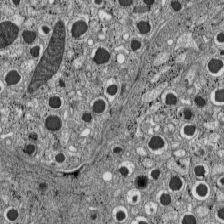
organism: C57BL Mouse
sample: Pancreatic islet